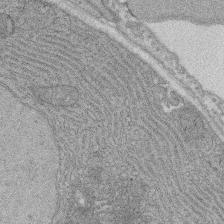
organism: Rat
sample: Salivary granule